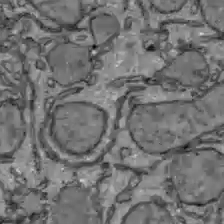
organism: C57BL Mouse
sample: Liver